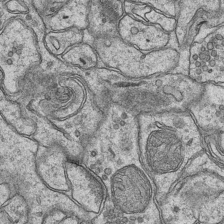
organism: Mouse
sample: CA1 Hippocampus